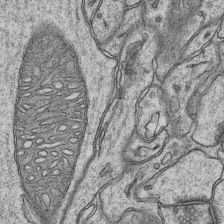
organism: Mouse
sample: CA1 Hippocampus